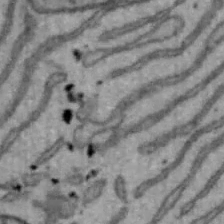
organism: Mouse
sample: Liver